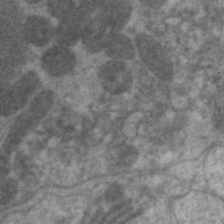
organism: C. elegans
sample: Pharynx